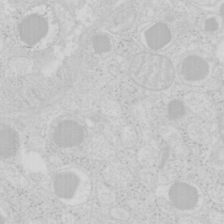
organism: Mouse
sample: Pancreas